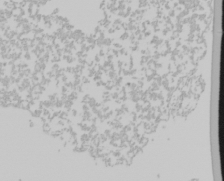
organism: Mouse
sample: Cancer cell death in ED-1 cells